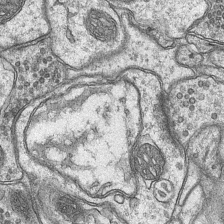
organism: Mouse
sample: CA1 Hippocampus